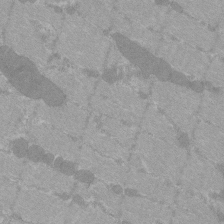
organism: C57BL Mouse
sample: Tibialis anterior muscle cell